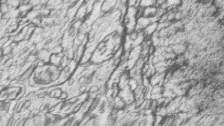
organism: Zebrafish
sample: synaptic ribbons in rod cells and cone cells